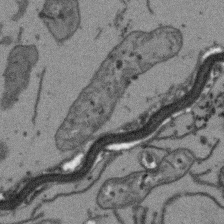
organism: Arabidopsis thaliana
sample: Root tip